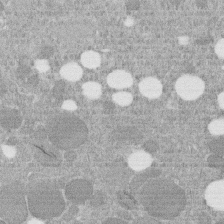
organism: C. elegans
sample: C. elegans embryo early stage